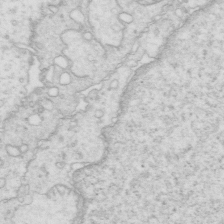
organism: Mouse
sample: Multiciliated cells